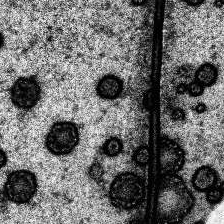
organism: Human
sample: Temporal Lobe